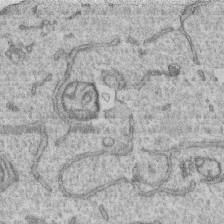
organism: Human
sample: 1205lu cells